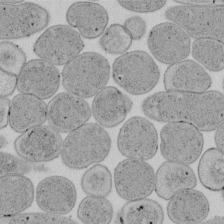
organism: E. coli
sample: Bacterial nucleoid